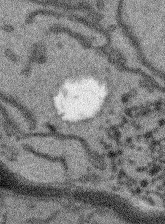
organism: Arabidopsis thaliana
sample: Root tip